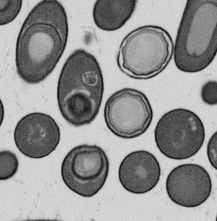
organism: B. subtilis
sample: Bacterial spore